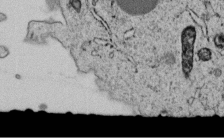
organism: C. elegans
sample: C. elegans embryo early stage